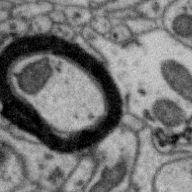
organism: Zebra finch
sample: Brain